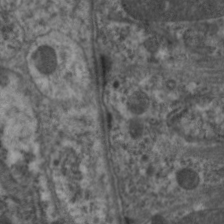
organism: C. elegans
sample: Pharynx